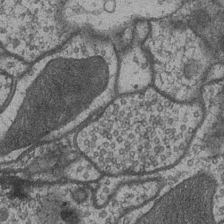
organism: Drosophila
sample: Optic medulla